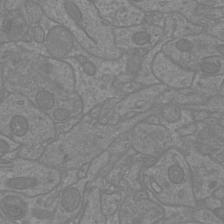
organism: Mouse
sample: Cortical neurons